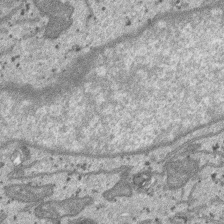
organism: Human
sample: Lung epithelial cells infected with SARS-CoV-2